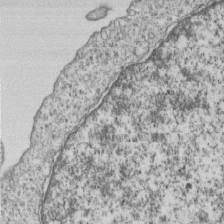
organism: Human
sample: MDA-MB-231 cells